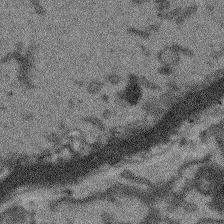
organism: Arabidopsis thaliana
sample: Root tip